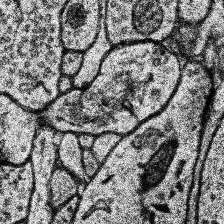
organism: Human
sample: Temporal Lobe